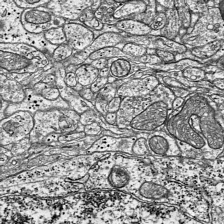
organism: Mouse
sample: Visual Cortex